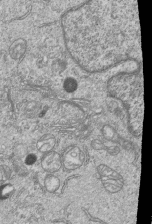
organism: Human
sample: MDA-MB-231 cells